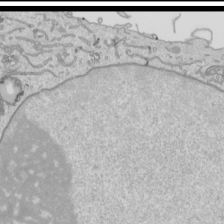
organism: Human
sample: Mitochondria in HCT116 cells